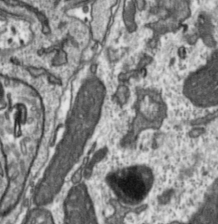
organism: Toxoplasma gondii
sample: Parasites in a vacuole inside a host cell